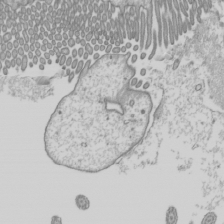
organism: Mouse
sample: Cilia; mouse epididymis